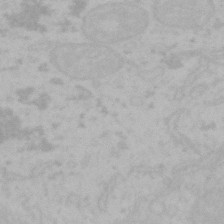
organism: Mouse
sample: Choroid plexus